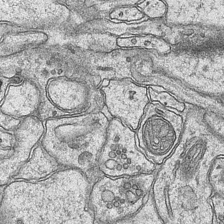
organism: Mouse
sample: CA1 Hippocampus